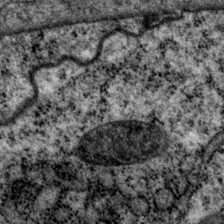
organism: P. pacificus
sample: Pharynx